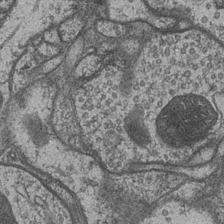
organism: Drosophila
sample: Optic medulla